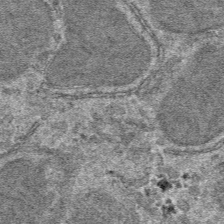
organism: Mouse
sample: Mouse hepatocytes